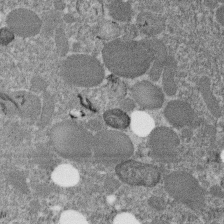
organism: C. elegans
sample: C. elegans embryo early stage